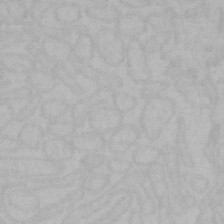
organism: Mouse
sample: Choroid plexus